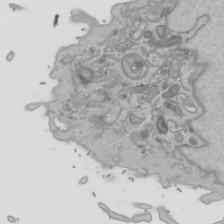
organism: Human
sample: Mitochondria in HCT116 cells